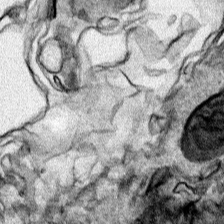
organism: Human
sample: Mitochondria in HCT116 cells